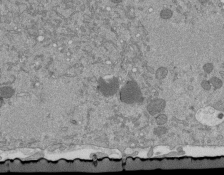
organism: Mouse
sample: ED-1 cell nuclei; centrioles